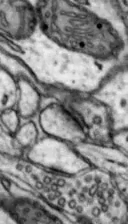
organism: Mouse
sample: Nucleus accumbens